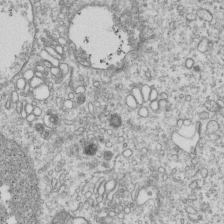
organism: Human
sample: MDA-MB-231 cells